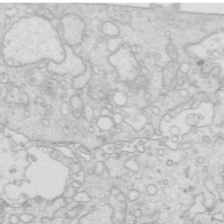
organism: Mouse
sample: Multiciliated cells